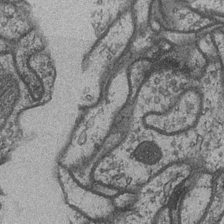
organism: Drosophila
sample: Optic medulla